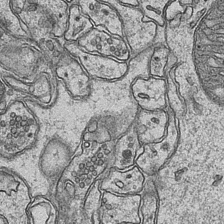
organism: Mouse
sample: CA1 Hippocampus